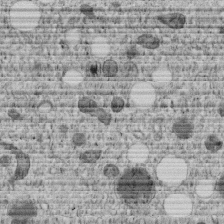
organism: C. elegans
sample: C. elegans embryo early stage